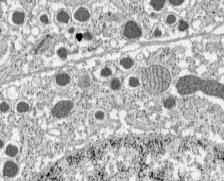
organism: C57BL Mouse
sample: Pancreatic islet